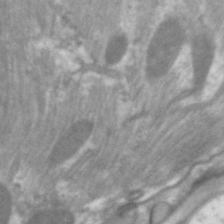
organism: C. elegans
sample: Pharynx